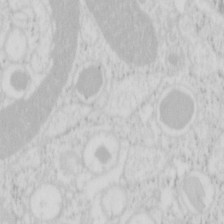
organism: Mouse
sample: Pancreas